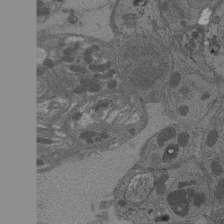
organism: Drosophila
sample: Antenna